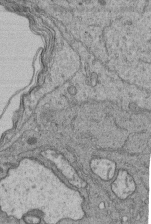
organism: Human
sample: Retinal organoid Rod and Cone cells